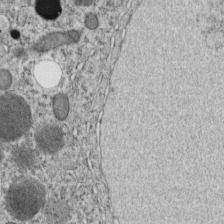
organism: C. elegans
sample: C. elegans embryo early stage